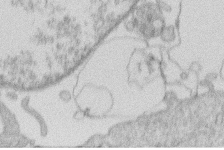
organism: Human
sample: Macrophage cells